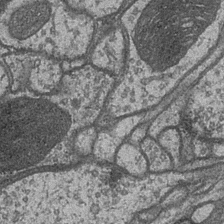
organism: Drosophila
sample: Optic medulla